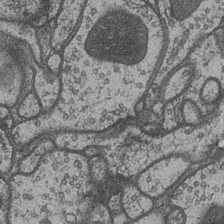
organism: Drosophila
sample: Optic medulla